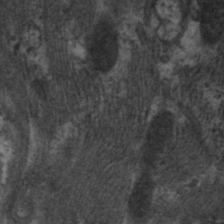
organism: C. elegans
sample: Pharynx